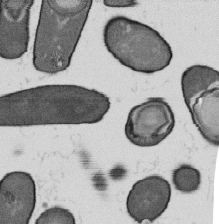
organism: B. subtilis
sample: Bacterial spore